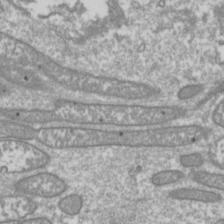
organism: Drosophila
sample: Cell division; meiosis; drosophila spermatocytes